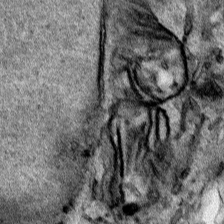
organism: Human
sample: Mitochondria in HCT116 cells